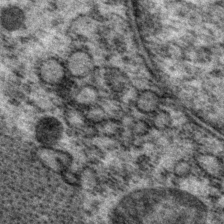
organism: P. pacificus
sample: Pharynx